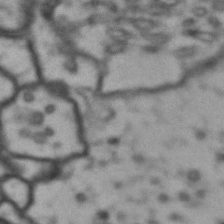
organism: Drosophila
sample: Brain